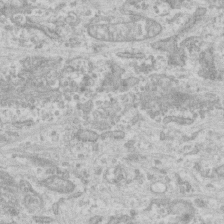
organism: Human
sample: CRL-1474